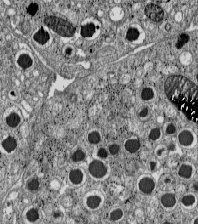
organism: C57BL Mouse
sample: Pancreatic islet